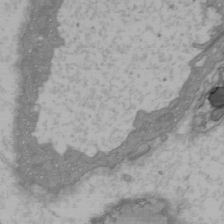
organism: C57BL Mouse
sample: Heart